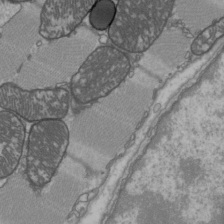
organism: C57BL Mouse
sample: Heart